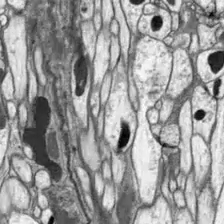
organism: Drosophila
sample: Optic lobe